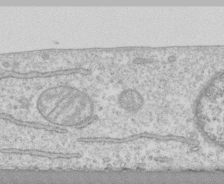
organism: Human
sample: CRL-1474